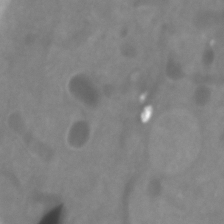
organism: Zebrafish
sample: Zebrafish embryo